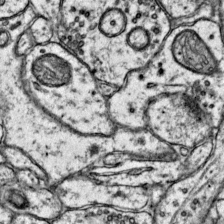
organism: Mouse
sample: Primary visual cortex